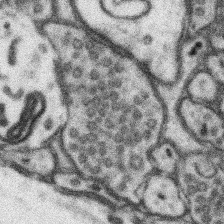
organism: Mouse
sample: Somatosensory cortex neuropil